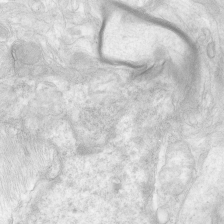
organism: Human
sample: Neocortex